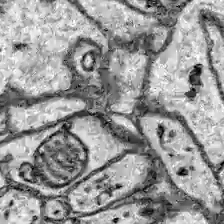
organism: Zebrafish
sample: Brain